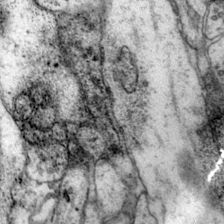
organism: Mouse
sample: Primary visual cortex